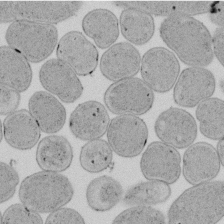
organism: E. coli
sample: Bacterial nucleoid